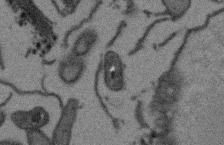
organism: Arabidopsis thaliana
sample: Root tip